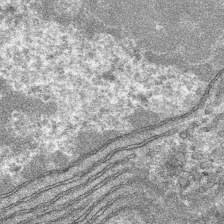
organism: Mouse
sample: Mouse hepatocytes